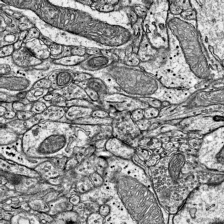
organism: Mouse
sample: Visual Cortex